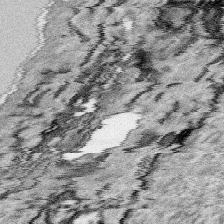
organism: Human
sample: HeLa cells